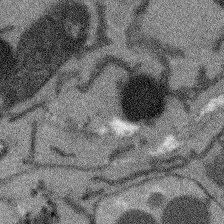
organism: Arabidopsis thaliana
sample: Root tip